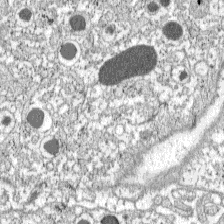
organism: C57BL Mouse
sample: Pancreatic islet